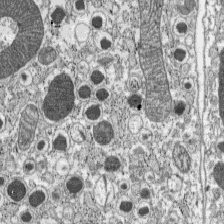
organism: C57BL Mouse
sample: Pancreatic islet